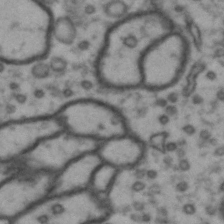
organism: Drosophila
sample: Brain